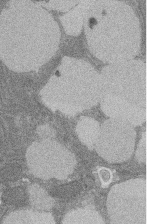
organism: Rat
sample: Salivary granule